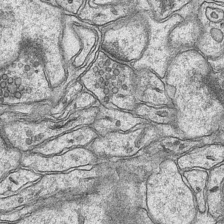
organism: Mouse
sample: CA1 Hippocampus